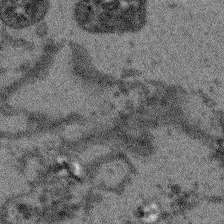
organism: Arabidopsis thaliana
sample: Root tip